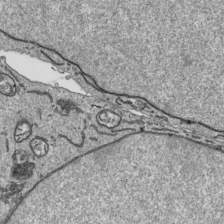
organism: Human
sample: Mitochondria in HCT116 cells